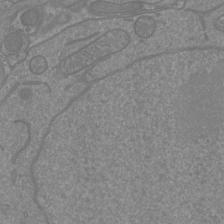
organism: Mouse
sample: Cortical neurons